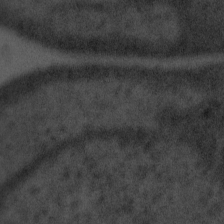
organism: Tuwongella immobilis